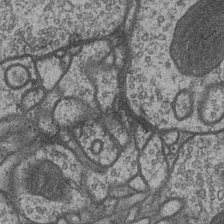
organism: Drosophila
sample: Optic medulla